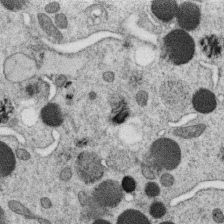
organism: C. elegans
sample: C. elegans oocyte; sperm cells